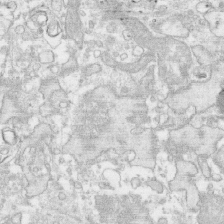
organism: Human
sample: CRL-1474